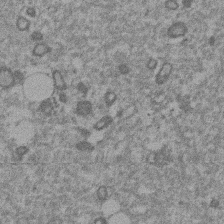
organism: Mouse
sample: Dividing mouse embryo 1 cell stage